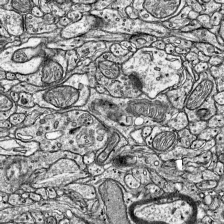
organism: Mouse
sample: Visual Cortex